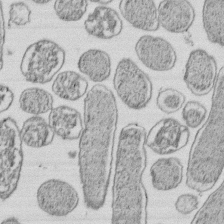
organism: E. coli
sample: Bacterial nucleoid